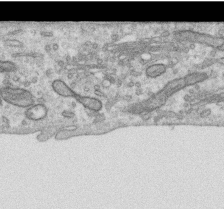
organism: Human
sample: Centriole in RPE cells